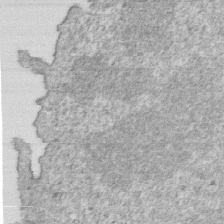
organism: Mouse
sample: Activated OT-1 CD8+ T cells